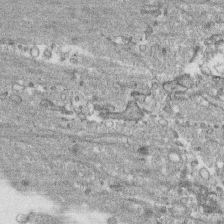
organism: Human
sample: CRL-1474